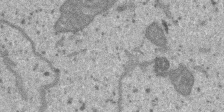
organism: Human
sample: Lung epithelial cells infected with SARS-CoV-2